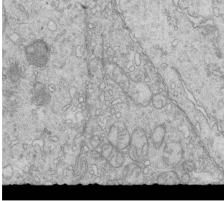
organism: Mouse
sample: Multiciliated cells